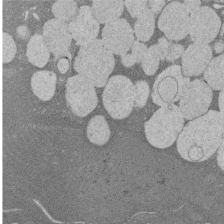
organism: Rat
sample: Salivary granule